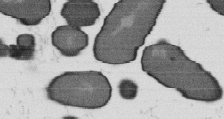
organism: B. subtilis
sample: Bacterial spore